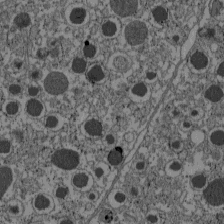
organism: C57BL Mouse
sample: Pancreatic islet